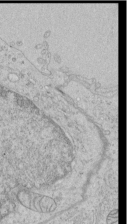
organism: Human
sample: Mitochondria in HCT116 cells